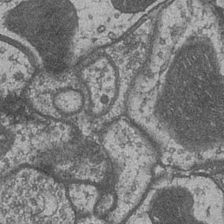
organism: Drosophila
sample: Optic medulla